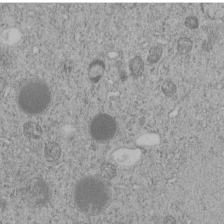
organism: C. elegans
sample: C. elegans embryo early stage